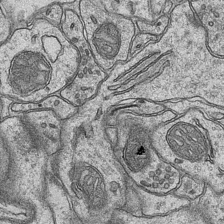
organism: Mouse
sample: CA1 Hippocampus